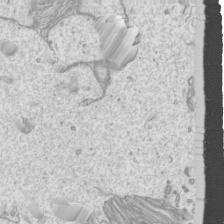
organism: Mouse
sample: Cilia; mouse epididymis